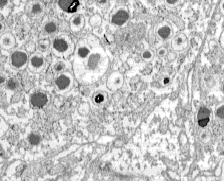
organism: C57BL Mouse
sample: Pancreatic islet